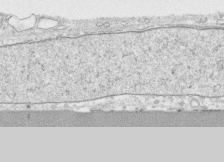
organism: Human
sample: CRL-1474